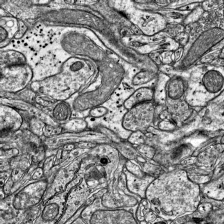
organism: Mouse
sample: Visual Cortex